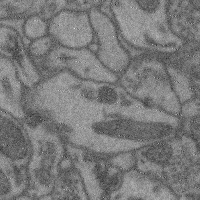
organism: Mouse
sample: Cerebral cortex